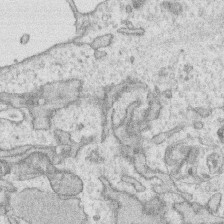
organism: Human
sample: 1205lu cells